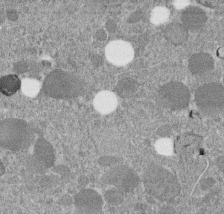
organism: C. elegans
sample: C. elegans embryo early stage